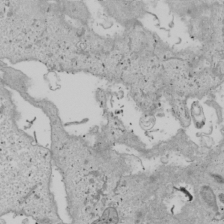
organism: Human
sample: Mitochondria in U2OS cells